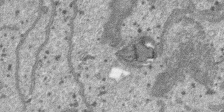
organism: Human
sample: Lung epithelial cells infected with SARS-CoV-2